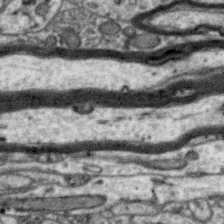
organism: Zebra finch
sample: Brain